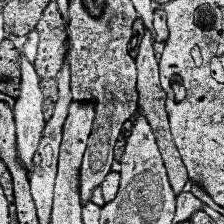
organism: Human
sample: Temporal Lobe